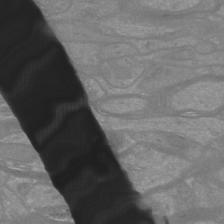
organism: Mouse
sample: Cortical neurons